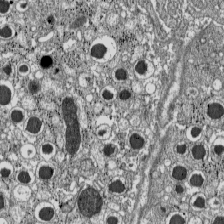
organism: C57BL Mouse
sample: Pancreatic islet